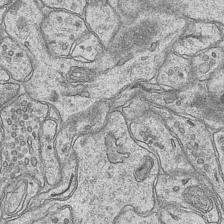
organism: Mouse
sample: CA1 Hippocampus